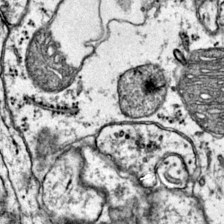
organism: Mouse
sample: Primary visual cortex